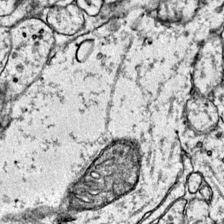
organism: Mouse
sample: Primary visual cortex